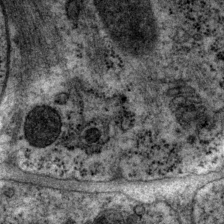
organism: P. pacificus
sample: Pharynx